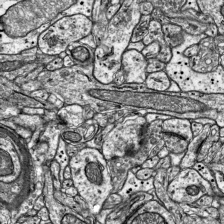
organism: Mouse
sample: Visual Cortex